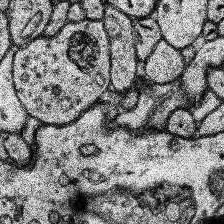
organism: Human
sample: Temporal Lobe